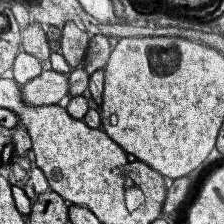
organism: Human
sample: Temporal Lobe